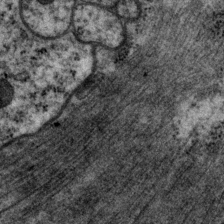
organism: P. pacificus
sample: Pharynx